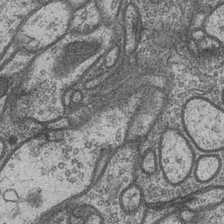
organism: Drosophila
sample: Optic medulla